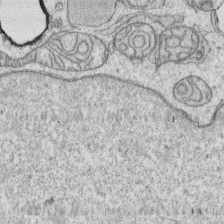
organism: Human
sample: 1205lu cells